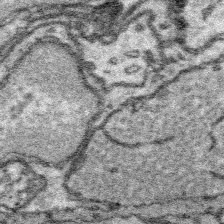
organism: Platynereis dumerilii